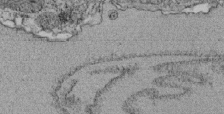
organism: Tetrahymena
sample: Cilia in tetrahymena